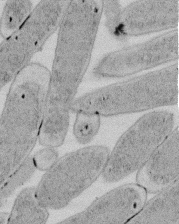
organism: E. coli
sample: Bacterial nucleoid